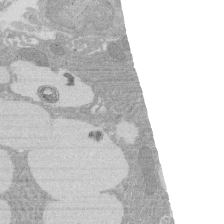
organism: Rat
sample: Salivary granule